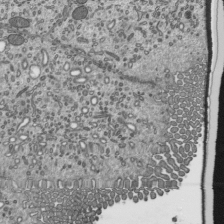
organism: Mouse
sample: Mouse epididymis efferent ductule cilia